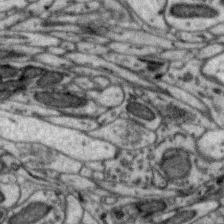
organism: Zebra finch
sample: Brain